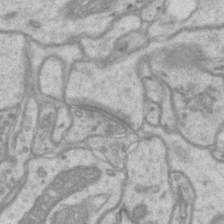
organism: Mouse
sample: CA1 Hippocampus